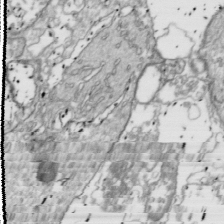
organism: Drosophila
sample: Cell division; meiosis; drosophila spermatocytes